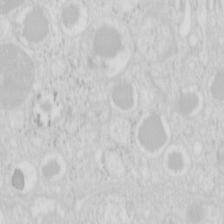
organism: Mouse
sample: Pancreas